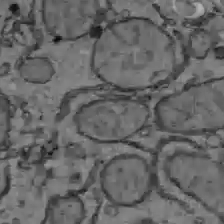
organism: C57BL Mouse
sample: Liver